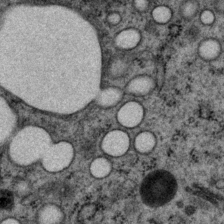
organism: P. pacificus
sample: Pharynx